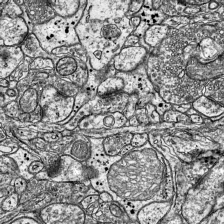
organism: Mouse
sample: Visual Cortex